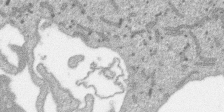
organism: Human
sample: Lung epithelial cells infected with SARS-CoV-2